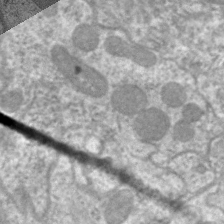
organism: C. elegans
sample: Pharynx